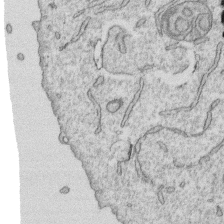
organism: Human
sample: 1205lu cells